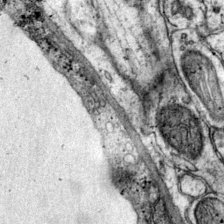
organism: Mouse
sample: Primary visual cortex